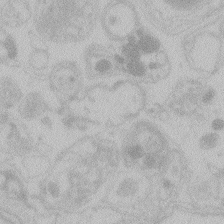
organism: Zebrafish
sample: Macrophage infected with Toxoplasma gondii